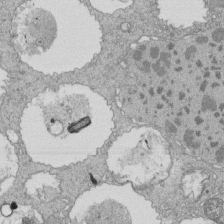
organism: Tetrahymena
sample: Cilia in tetrahymena